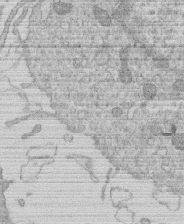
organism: Human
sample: Macrophage cells